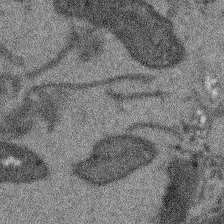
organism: Arabidopsis thaliana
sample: Root tip